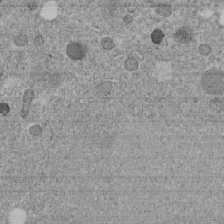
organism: C. elegans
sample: C. elegans embryo early stage